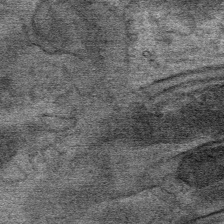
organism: Mouse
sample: Mouse Salivary gland